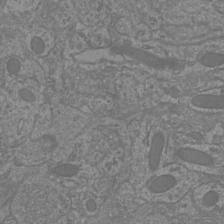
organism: Mouse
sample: Cortical neurons